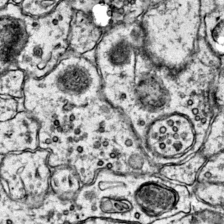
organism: Mouse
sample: Primary visual cortex